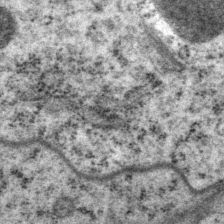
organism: P. pacificus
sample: Pharynx